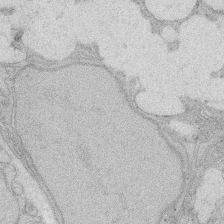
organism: Rat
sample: Salivary granule